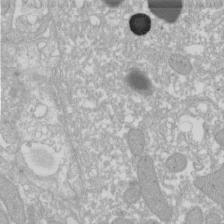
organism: Xenopus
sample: Cilia; centrioles in frog embryo cells